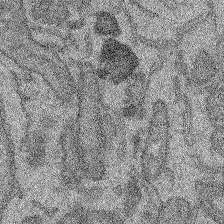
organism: Human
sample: HeLa cells